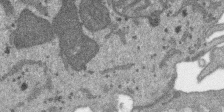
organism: Human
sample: Lung epithelial cells infected with SARS-CoV-2